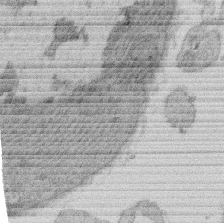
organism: Rat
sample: Salivary granule